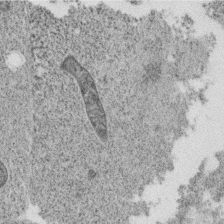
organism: C. elegans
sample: C. elegans oocyte; sperm cells